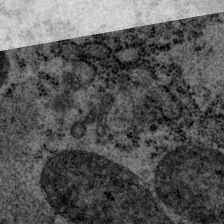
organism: P. pacificus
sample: Pharynx